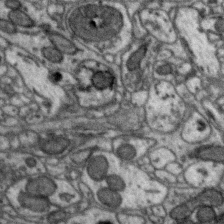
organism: Zebra finch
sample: Brain